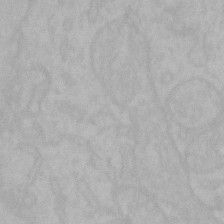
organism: Mouse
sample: Choroid plexus